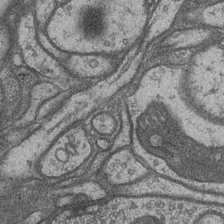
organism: Drosophila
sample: Optic medulla